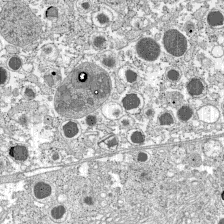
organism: C57BL Mouse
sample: Pancreatic islet